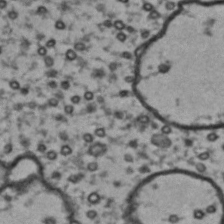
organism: Drosophila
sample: Brain